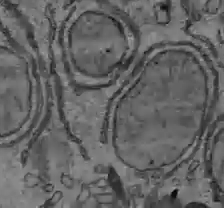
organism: C57BL Mouse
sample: Liver